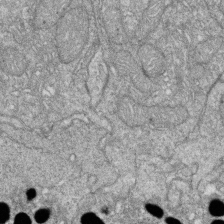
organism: Zebrafish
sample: Cilia; retinal pigment epithelium